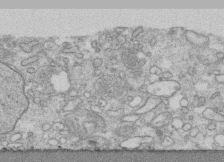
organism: Human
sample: CRL-1474